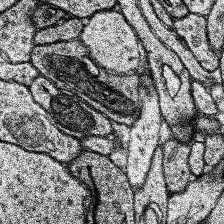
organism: Human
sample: Temporal Lobe